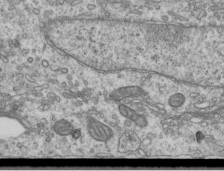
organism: Human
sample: Centriole in RPE cells